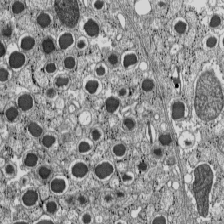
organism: C57BL Mouse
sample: Pancreatic islet